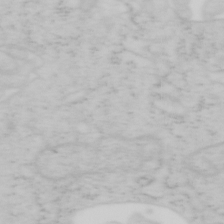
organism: Mouse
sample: OT-I killer T cells with ID8 ovarian cancer cells